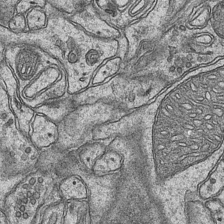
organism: Mouse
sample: CA1 Hippocampus